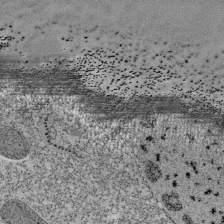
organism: Tetrahymena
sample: Cilia in tetrahymena